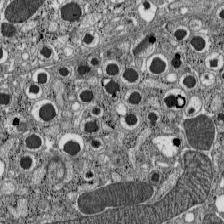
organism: C57BL Mouse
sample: Pancreatic islet